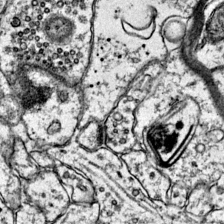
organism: Mouse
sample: Primary visual cortex